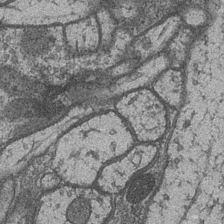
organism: Drosophila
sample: Optic medulla